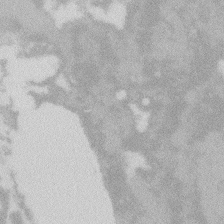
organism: Zebrafish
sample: Macrophage